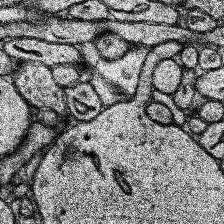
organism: Human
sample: Temporal Lobe